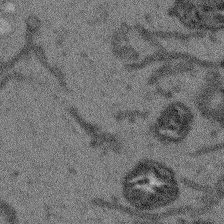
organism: Arabidopsis thaliana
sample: Root tip